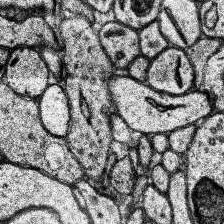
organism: Human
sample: Temporal Lobe